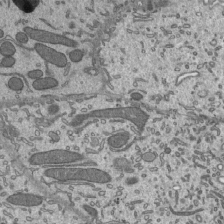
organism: Mouse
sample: Mouse epididymis efferent ductule cilia